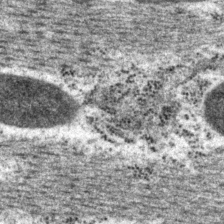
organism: P. pacificus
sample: Pharynx